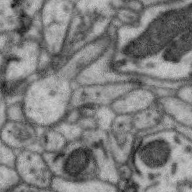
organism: Zebra finch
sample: Brain